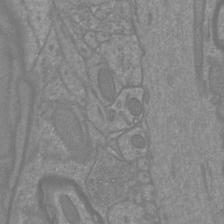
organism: Mouse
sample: Cortical neurons